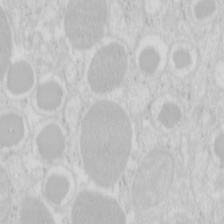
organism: Mouse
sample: Pancreas